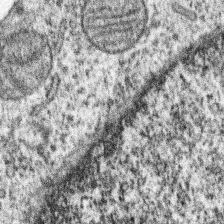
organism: Human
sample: HeLa cells